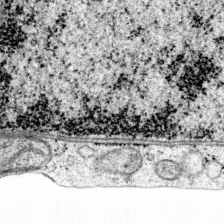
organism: Human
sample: HeLa cells